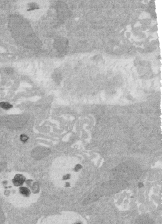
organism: Rat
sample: Salivary granule